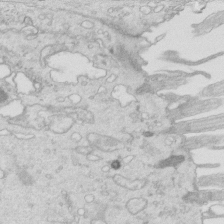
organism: Mouse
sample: Multiciliated cells